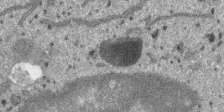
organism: Human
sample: Lung epithelial cells infected with SARS-CoV-2